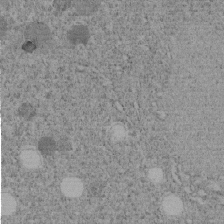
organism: C. elegans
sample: C. elegans embryo early stage